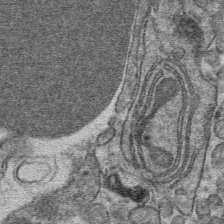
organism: Mouse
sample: Mouse hepatocytes